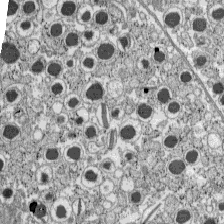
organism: C57BL Mouse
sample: Pancreatic islet